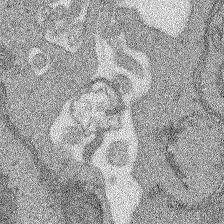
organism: Human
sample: HeLa cells